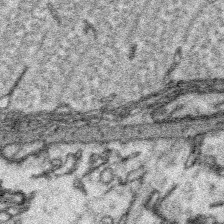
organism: Platynereis dumerilii